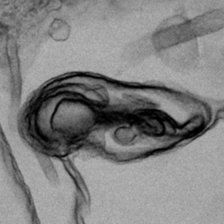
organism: Human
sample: Mitochondria in HCT116 cells